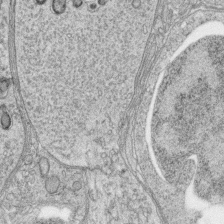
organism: Zebrafish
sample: synaptic ribbons in rod cells and cone cells